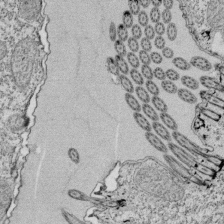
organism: Tetrahymena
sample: Cilia in tetrahymena